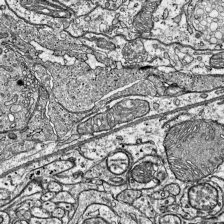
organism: Mouse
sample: Visual Cortex